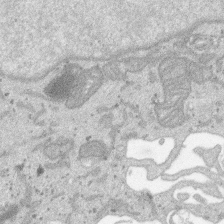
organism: Human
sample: Lung epithelial cells infected with SARS-CoV-2